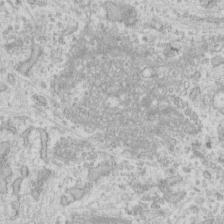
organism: Human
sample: Fibroblast cells